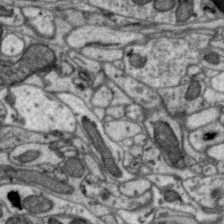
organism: Zebra finch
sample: Brain